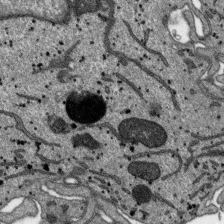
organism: Human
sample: Lung epithelial cells, uninfected (mock) control